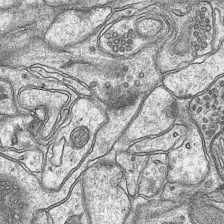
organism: Mouse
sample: CA1 Hippocampus